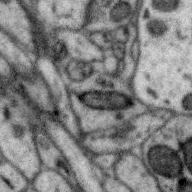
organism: Zebra finch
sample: Brain